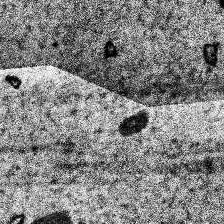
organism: Human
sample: Temporal Lobe